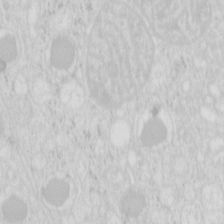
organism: Mouse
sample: Pancreas